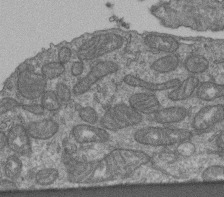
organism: Human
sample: Retinal organoid Rod and Cone cells